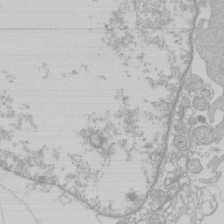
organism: Human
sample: Macrophage cells